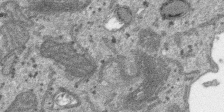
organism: Human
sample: Lung epithelial cells infected with SARS-CoV-2